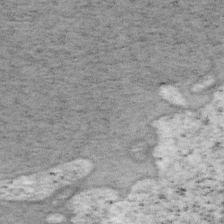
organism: Mouse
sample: OT-I killer T cells with ID8 ovarian cancer cells